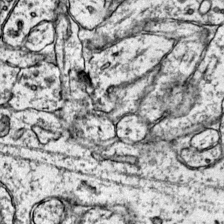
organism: Mouse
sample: Primary visual cortex